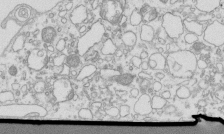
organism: Mouse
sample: Macrophages